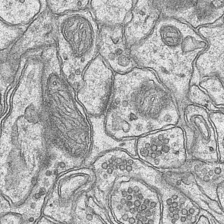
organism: Mouse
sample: CA1 Hippocampus